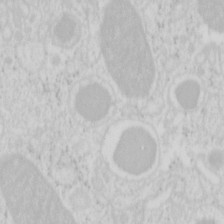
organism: Mouse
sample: Pancreas